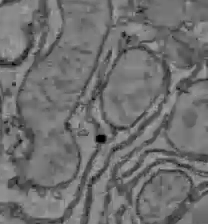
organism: C57BL Mouse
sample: Liver